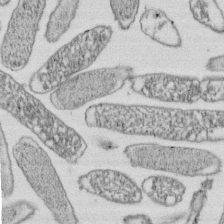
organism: E. coli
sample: Bacterial nucleoid